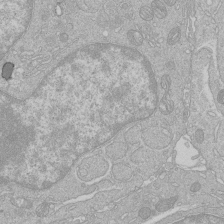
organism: Human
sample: Macrophage cells